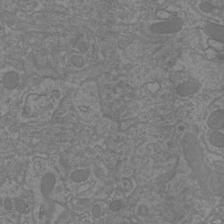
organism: Mouse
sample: Cortical neurons